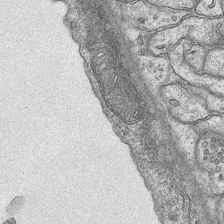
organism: Mouse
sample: CA1 Hippocampus